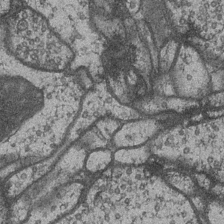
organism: Drosophila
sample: Optic medulla